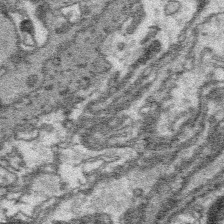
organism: Platynereis dumerilii